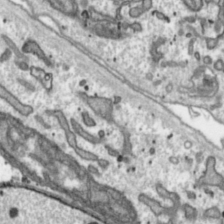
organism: Toxoplasma gondii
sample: Parasites in a vacuole inside a host cell